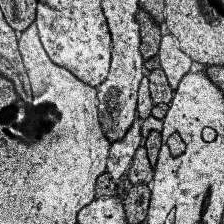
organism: Human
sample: Temporal Lobe